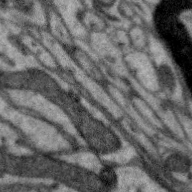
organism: Zebra finch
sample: Brain